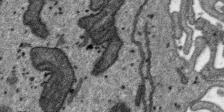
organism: Human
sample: Lung epithelial cells, uninfected (mock) control